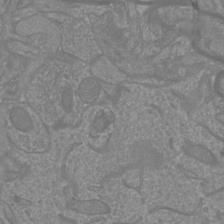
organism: Mouse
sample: Cortical neurons